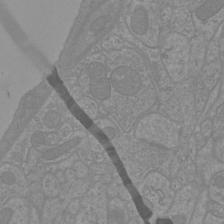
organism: Mouse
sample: Cortical neurons